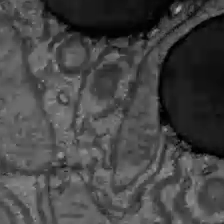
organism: C57BL Mouse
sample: Liver